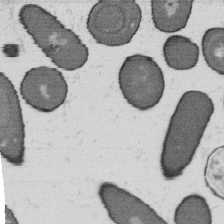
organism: B. subtilis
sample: Bacterial spore